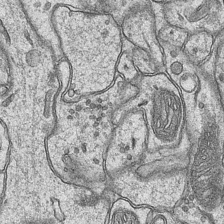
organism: Mouse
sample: CA1 Hippocampus